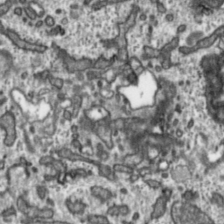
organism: Toxoplasma gondii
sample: Parasites in a vacuole inside a host cell